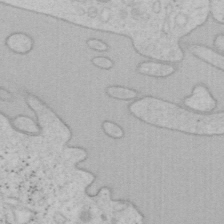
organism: Human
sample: HeLa cells